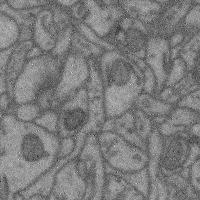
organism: Mouse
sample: Cerebral cortex